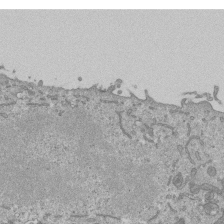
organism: Mouse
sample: ED-1 cell nuclei; centrioles